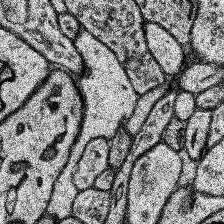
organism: Human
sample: Temporal Lobe